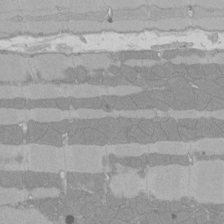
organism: Rat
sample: Left ventricle